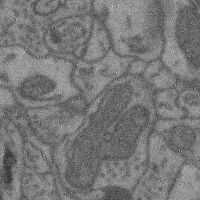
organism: Mouse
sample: Cerebral cortex